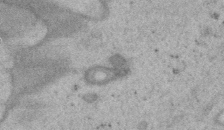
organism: Human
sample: HeLa cells